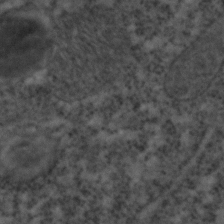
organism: C. elegans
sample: C. elegans embryo